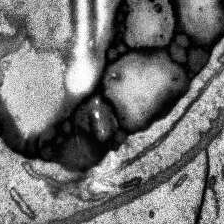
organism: Human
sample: Temporal Lobe